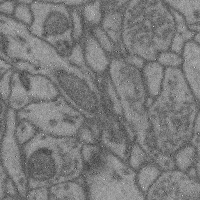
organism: Mouse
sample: Cerebral cortex